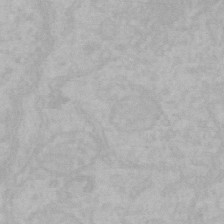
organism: Mouse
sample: Choroid plexus